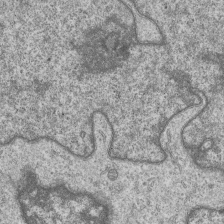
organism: Human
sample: MDA-MB-231 cells